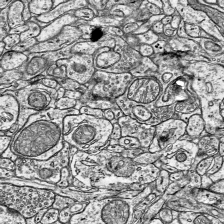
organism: Mouse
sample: Visual Cortex